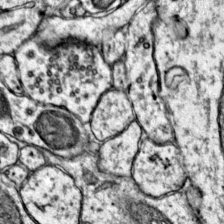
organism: Mouse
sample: Primary visual cortex